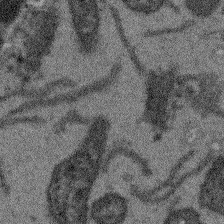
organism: Arabidopsis thaliana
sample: Root tip